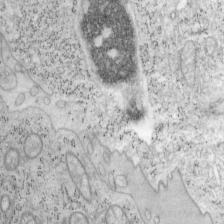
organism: Mouse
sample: OT-I killer T cells with ID8 ovarian cancer cells